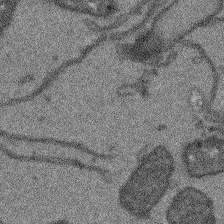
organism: Arabidopsis thaliana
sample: Root tip